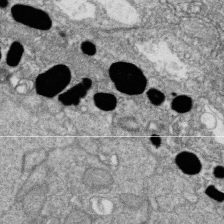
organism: Zebrafish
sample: Cilia; retinal pigment epithelium